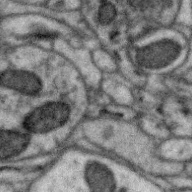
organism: Zebra finch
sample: Brain